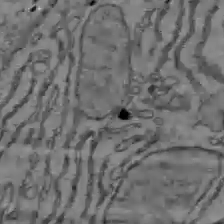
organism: C57BL Mouse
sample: Liver